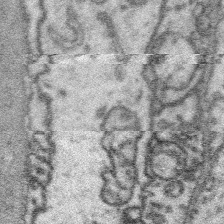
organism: Platynereis dumerilii